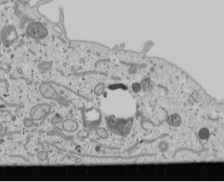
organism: Human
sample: Mitochondria in U2OS cells